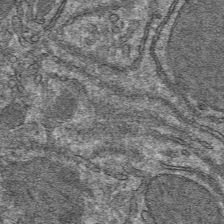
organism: Mouse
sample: Mouse hepatocytes